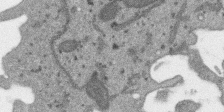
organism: Human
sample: Lung epithelial cells infected with SARS-CoV-2